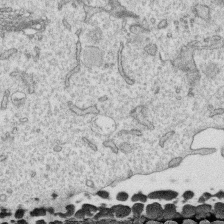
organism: Human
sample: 1205lu cells